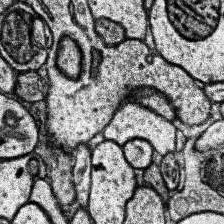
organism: Human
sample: Temporal Lobe